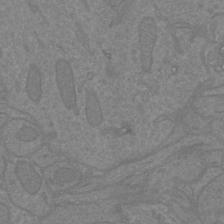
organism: Mouse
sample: Cortical neurons